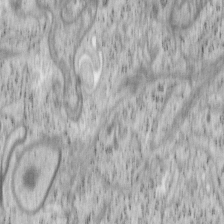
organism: Human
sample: HeLa cells